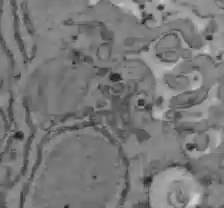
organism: C57BL Mouse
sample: Liver